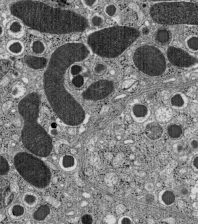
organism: C57BL Mouse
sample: Pancreatic islet